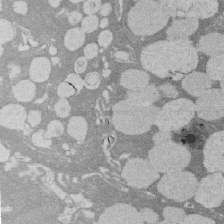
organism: Rat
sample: Salivary granule